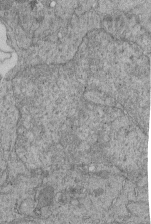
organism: Human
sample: Retinal organoid Rod and Cone cells